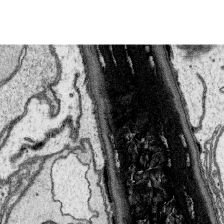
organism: Platynereis dumerilii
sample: Parapodia